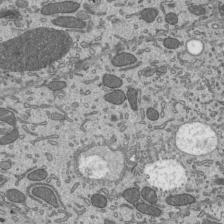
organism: Mouse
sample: Mouse epididymis efferent ductule cilia